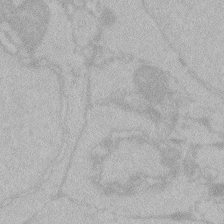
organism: Zebrafish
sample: Macrophage infected with Toxoplasma gondii